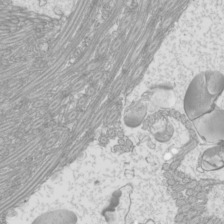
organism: Mouse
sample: Cilia; mouse epididymis